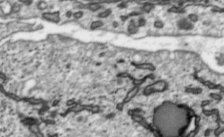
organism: Toxoplasma gondii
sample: Parasites in a vacuole inside a host cell